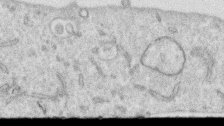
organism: Human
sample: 1205lu cells